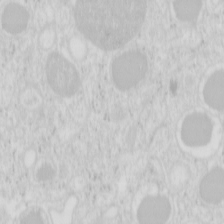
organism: Mouse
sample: Pancreas